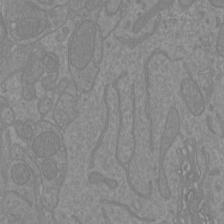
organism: Mouse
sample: Cortical neurons